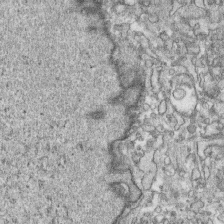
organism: Human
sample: CRL-1474